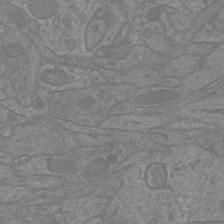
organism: Mouse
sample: Cortical neurons